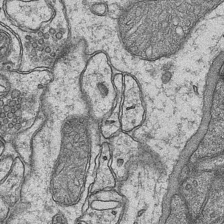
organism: Mouse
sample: CA1 Hippocampus